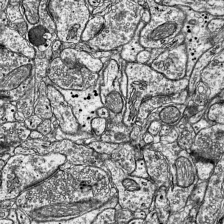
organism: Mouse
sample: Visual Cortex